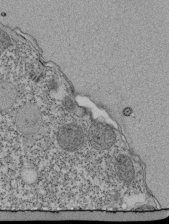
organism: Tetrahymena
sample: Cilia in tetrahymena